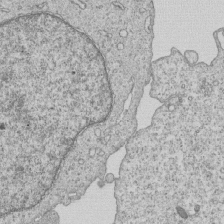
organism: Human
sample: MDA-MB-231 cells